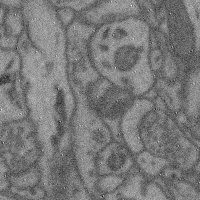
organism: Mouse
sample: Cerebral cortex